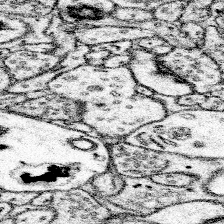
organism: Mouse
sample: Somatosensory cortex neuropil